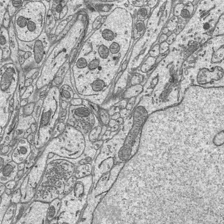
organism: Mouse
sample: Suprachiasmatic nucleus